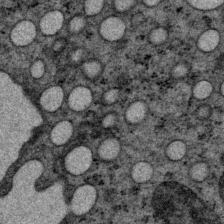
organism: P. pacificus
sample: Pharynx